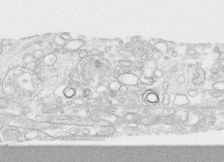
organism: Human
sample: CRL-1474